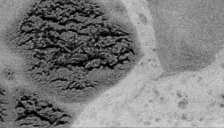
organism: Embia sp.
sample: Silk gland